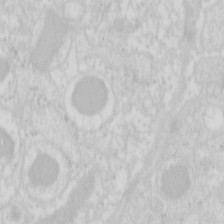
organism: Mouse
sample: Pancreas